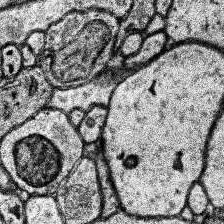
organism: Human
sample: Temporal Lobe